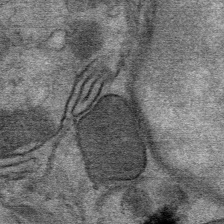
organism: Mouse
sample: Mouse Salivary gland